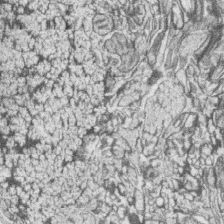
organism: Zebrafish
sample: synaptic ribbons in rod cells and cone cells